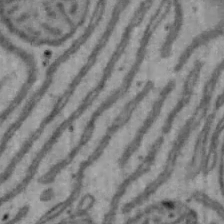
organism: Mouse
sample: Liver